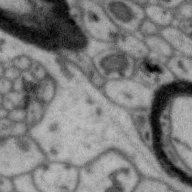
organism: Zebra finch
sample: Brain